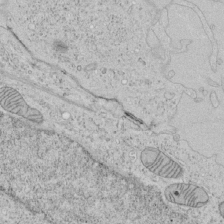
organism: Human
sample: Mitochondria in HCT116 cells